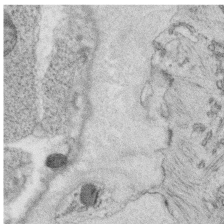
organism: C. elegans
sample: C. elegans oocyte; sperm cells